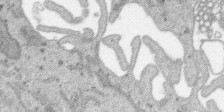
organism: Human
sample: Lung epithelial cells infected with SARS-CoV-2